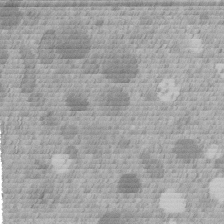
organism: C. elegans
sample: C. elegans embryo early stage